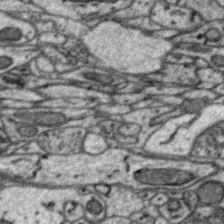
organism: Zebra finch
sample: Brain